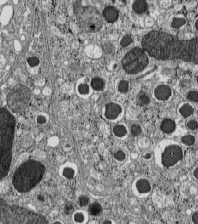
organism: C57BL Mouse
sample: Pancreatic islet